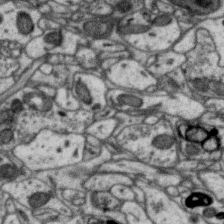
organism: Zebra finch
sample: Brain